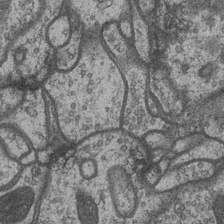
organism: Drosophila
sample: Optic medulla